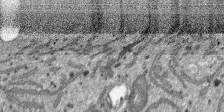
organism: Human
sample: Lung epithelial cells infected with SARS-CoV-2